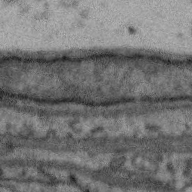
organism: Zebra finch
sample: Brain